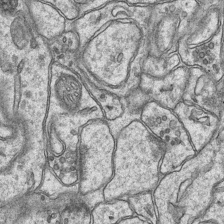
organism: Mouse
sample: CA1 Hippocampus